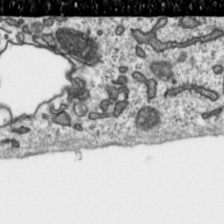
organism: Toxoplasma gondii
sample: Parasites in a vacuole inside a host cell